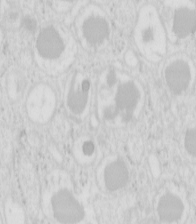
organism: Mouse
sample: Pancreas